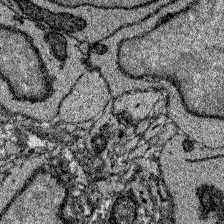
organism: Zebrafish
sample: Larval olfactory bulb